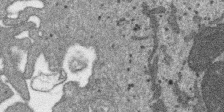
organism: Human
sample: Lung epithelial cells infected with SARS-CoV-2